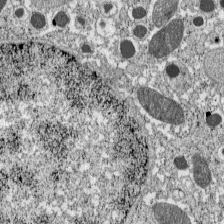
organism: C57BL Mouse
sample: Pancreatic islet